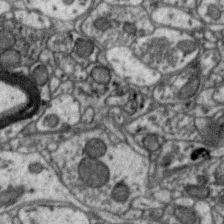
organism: Zebra finch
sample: Brain